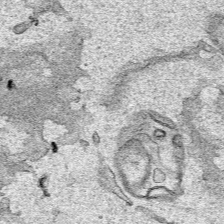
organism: Human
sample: Mitochondria in HCT116 cells